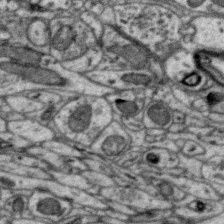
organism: Zebra finch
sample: Brain